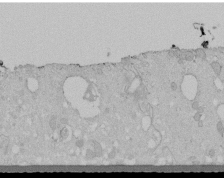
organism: Human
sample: Melanocyte Keratinocyte synapse skin construct